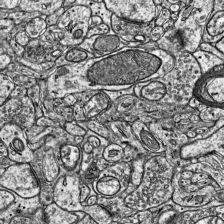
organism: Mouse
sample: Visual Cortex